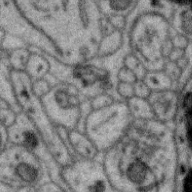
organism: Zebra finch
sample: Brain